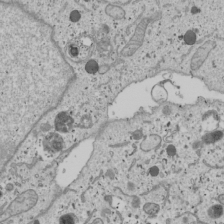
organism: Human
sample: Mitochondria in U2OS cells